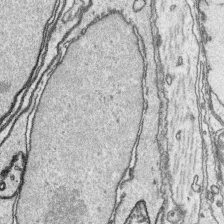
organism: Platynereis dumerilii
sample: Parapodia